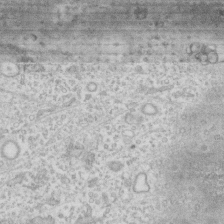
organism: Human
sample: Fibroblast cells